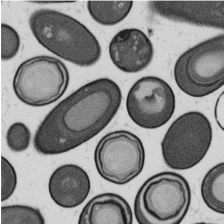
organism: B. subtilis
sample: Bacterial spore